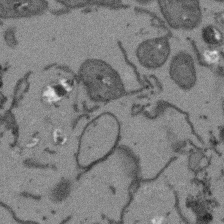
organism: Arabidopsis thaliana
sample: Root tip